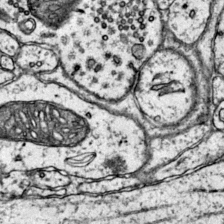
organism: Mouse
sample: Primary visual cortex